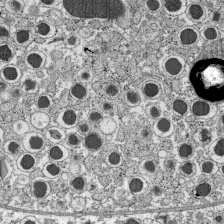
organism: C57BL Mouse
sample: Pancreatic islet